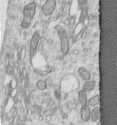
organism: Human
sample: Centriole in RPE cells